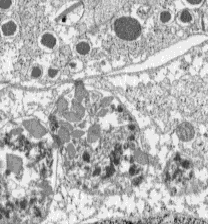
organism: C57BL Mouse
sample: Pancreatic islet